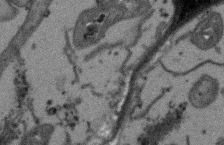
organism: Arabidopsis thaliana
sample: Root tip